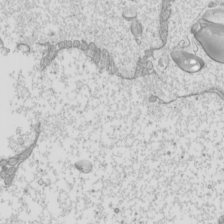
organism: Mouse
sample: Cilia; mouse epididymis